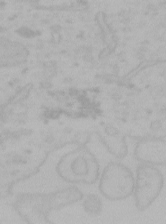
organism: Mouse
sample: Choroid plexus